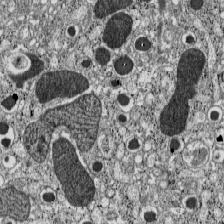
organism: C57BL Mouse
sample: Pancreatic islet